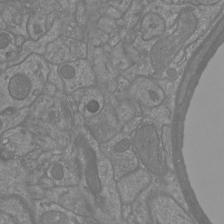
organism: Mouse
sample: Cortical neurons